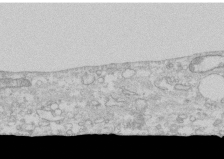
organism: Human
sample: CRL-1474